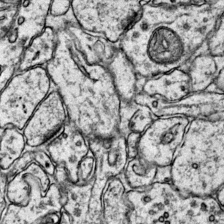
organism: Mouse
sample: Primary visual cortex